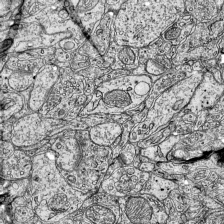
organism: Mouse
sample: Visual Cortex